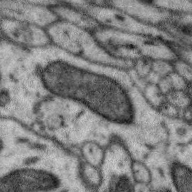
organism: Zebra finch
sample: Brain